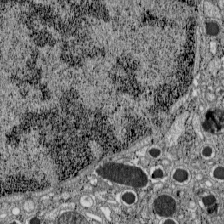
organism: C57BL Mouse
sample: Pancreatic islet